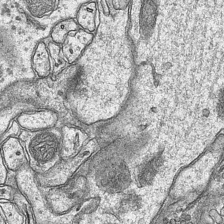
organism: Mouse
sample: CA1 Hippocampus